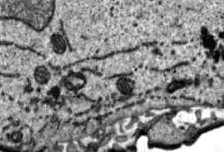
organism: Human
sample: HeLa cells